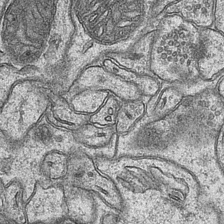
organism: Mouse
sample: CA1 Hippocampus